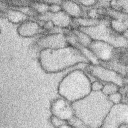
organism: Rabbit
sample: Retina